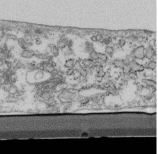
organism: Mouse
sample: Cilia; retinal pigment epithelium